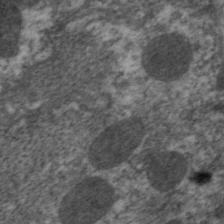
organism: C. elegans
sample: Pharynx